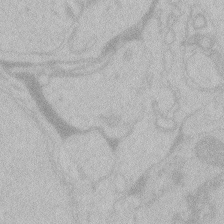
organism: Zebrafish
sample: Macrophage infected with Toxoplasma gondii